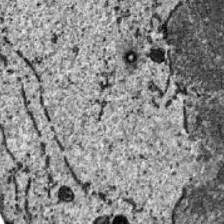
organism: Human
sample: HeLa cells